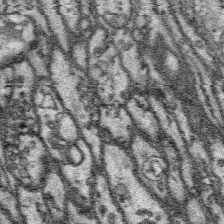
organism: Platynereis dumerilii